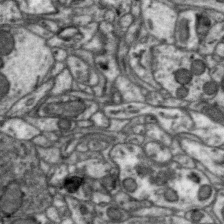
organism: Zebra finch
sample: Brain